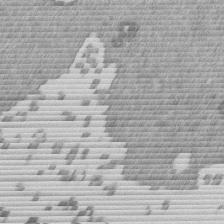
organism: Mouse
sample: Dividing mouse embryo 1 cell stage